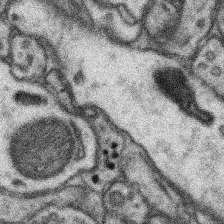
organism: Mouse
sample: Somatosensory cortex neuropil